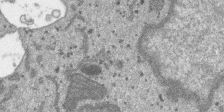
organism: Human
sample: Lung epithelial cells infected with SARS-CoV-2